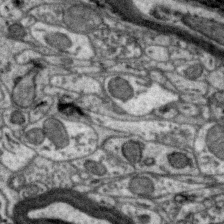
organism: Zebra finch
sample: Brain